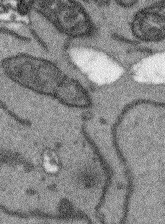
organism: Arabidopsis thaliana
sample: Root tip